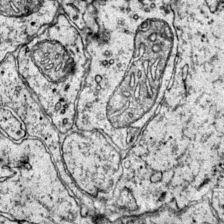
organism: Mouse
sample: Primary visual cortex